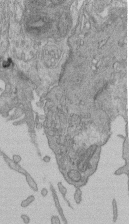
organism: Human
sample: Retinal organoid Rod and Cone cells